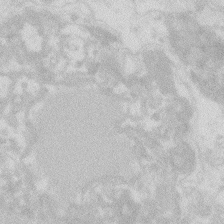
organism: Zebrafish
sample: Macrophage